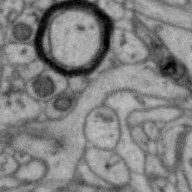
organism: Zebra finch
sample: Brain